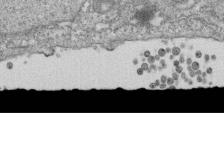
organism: Human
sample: HeLa cell HIV synapse